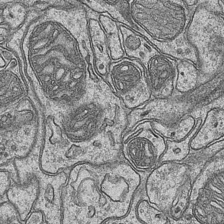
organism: Mouse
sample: CA1 Hippocampus